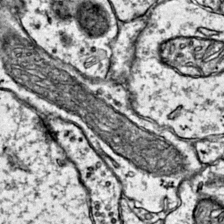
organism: Mouse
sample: Primary visual cortex